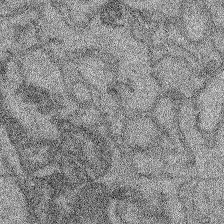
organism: Human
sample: HeLa cells